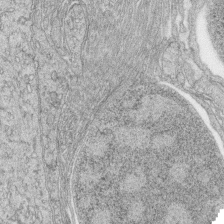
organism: Zebrafish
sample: synaptic ribbons in rod cells and cone cells